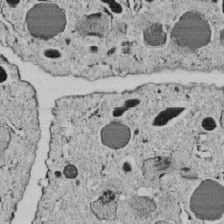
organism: C. elegans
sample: C. elegans embryo early stage